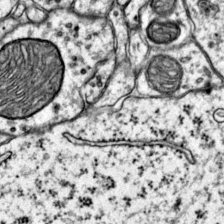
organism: Mouse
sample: Primary visual cortex